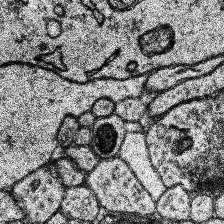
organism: Human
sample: Temporal Lobe